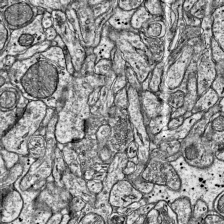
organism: Mouse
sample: Visual Cortex